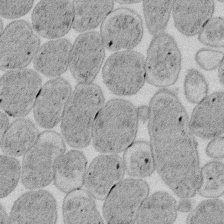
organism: E. coli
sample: Bacterial nucleoid